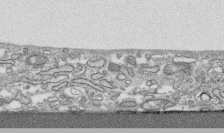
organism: Human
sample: CRL-1474